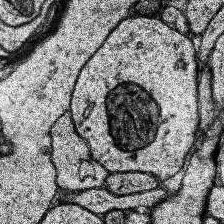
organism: Human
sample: Temporal Lobe